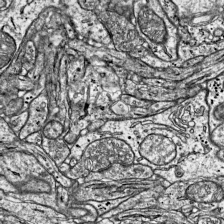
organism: Mouse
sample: Visual Cortex